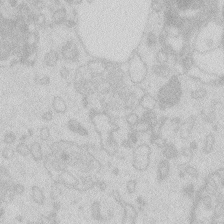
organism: Zebrafish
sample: Macrophage